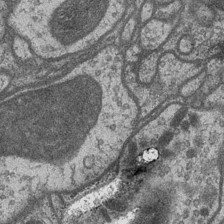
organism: Drosophila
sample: Optic medulla